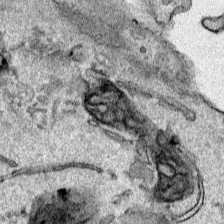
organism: Human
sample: Mitochondria in HCT116 cells